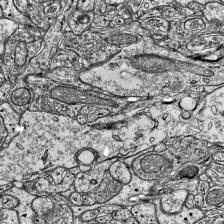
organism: Mouse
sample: Visual Cortex